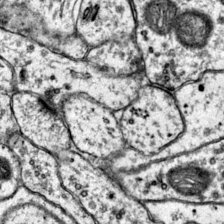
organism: Mouse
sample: Primary visual cortex